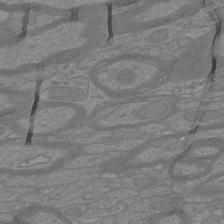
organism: Mouse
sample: Cortical neurons